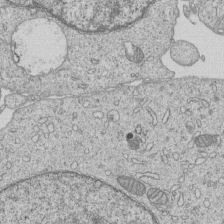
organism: Human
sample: MDA-MB-231 cells